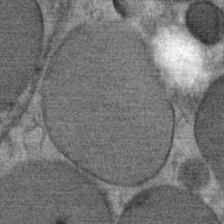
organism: Mouse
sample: Mouse Salivary gland